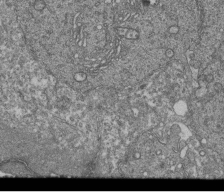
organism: Human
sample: Retinal organoid Rod and Cone cells